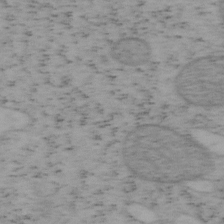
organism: Mouse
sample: OT-I killer T cells with ID8 ovarian cancer cells